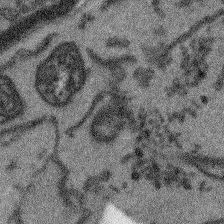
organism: Arabidopsis thaliana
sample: Root tip